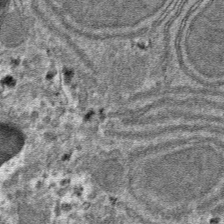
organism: Mouse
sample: Mouse hepatocytes